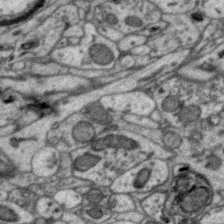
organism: Zebra finch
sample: Brain